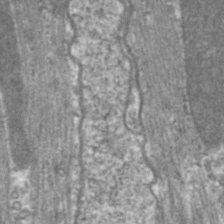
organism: C. elegans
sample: Pharynx